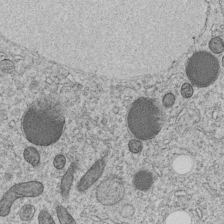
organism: C. elegans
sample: C. elegans embryo early stage